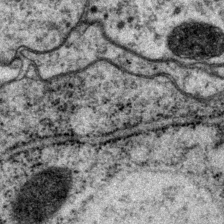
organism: P. pacificus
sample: Pharynx